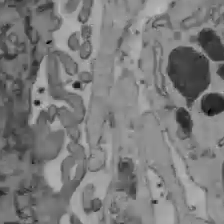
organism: C57BL Mouse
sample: Liver